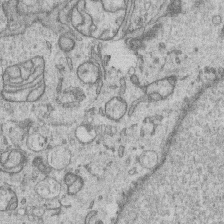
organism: Human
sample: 1205lu cells